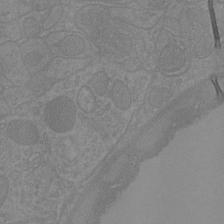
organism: Mouse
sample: Cortical neurons